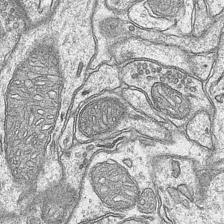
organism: Mouse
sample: CA1 Hippocampus